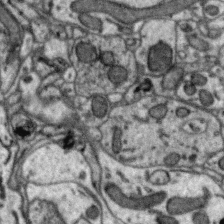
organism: Zebra finch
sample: Brain